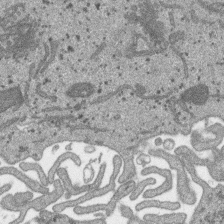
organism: Human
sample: Lung epithelial cells infected with SARS-CoV-2